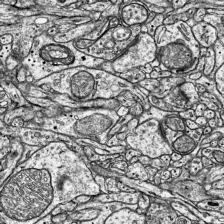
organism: Mouse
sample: Visual Cortex